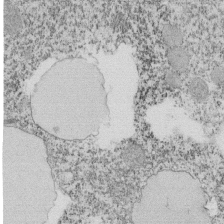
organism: Tetrahymena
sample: Cilia in tetrahymena